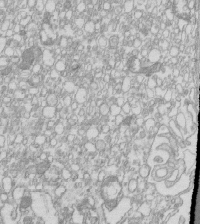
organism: Mouse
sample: Macrophages